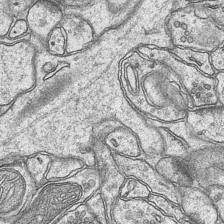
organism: Mouse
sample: CA1 Hippocampus